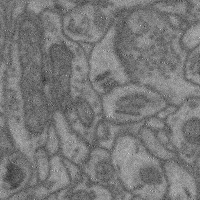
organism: Mouse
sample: Cerebral cortex